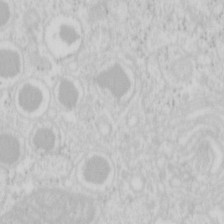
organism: Mouse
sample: Pancreas